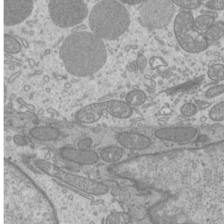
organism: Mouse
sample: Cilia; mouse epididymis